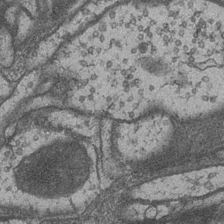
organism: Drosophila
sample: Optic medulla